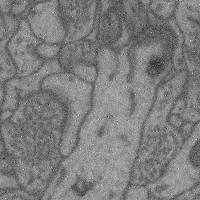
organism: Mouse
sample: Cerebral cortex